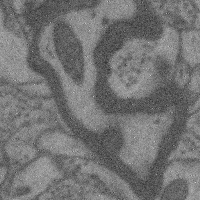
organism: Mouse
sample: Cerebral cortex